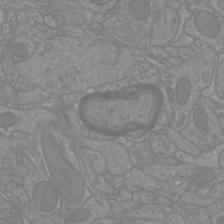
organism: Mouse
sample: Cortical neurons